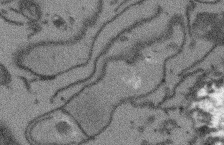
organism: Arabidopsis thaliana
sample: Root tip